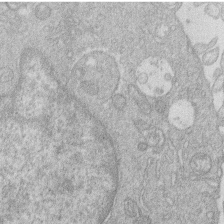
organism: Human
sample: Macrophage cells